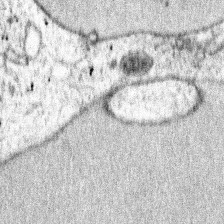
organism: Human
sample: HeLa cells